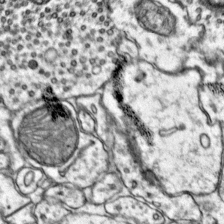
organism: Mouse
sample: Primary visual cortex